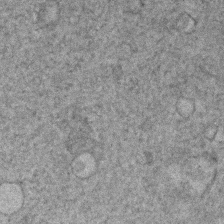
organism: Human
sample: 1205lu cells